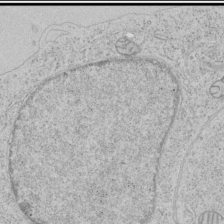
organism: Human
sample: Mitochondria in HCT116 cells